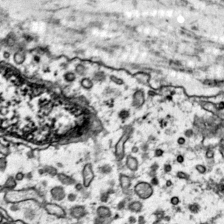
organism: Mouse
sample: Primary visual cortex